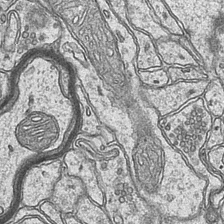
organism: Mouse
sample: CA1 Hippocampus